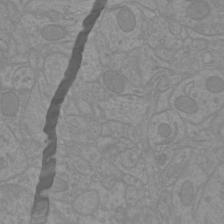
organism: Mouse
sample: Cortical neurons